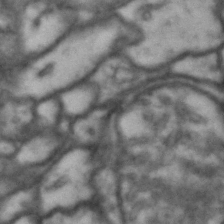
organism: Drosophila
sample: Brain